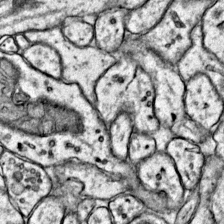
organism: Mouse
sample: Primary visual cortex